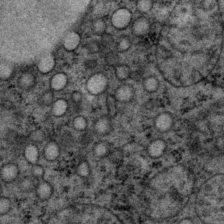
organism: P. pacificus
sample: Pharynx